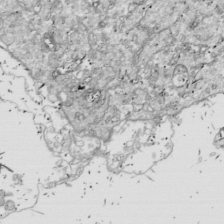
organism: Drosophila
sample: Cell division; meiosis; drosophila spermatocytes